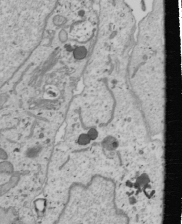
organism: Human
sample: Mitochondria in U2OS cells